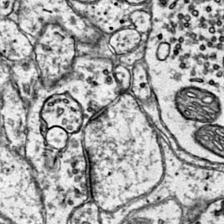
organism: Mouse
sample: Primary visual cortex